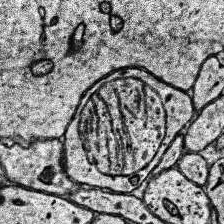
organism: Human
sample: Temporal Lobe